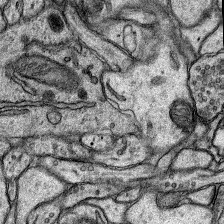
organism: Rat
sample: Hippocampus